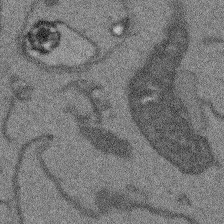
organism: Arabidopsis thaliana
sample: Root tip